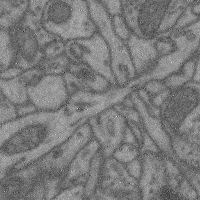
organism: Mouse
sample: Cerebral cortex